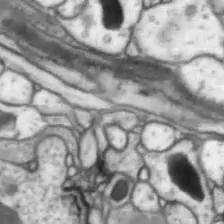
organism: Drosophila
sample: Optic lobe